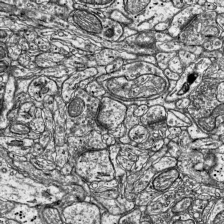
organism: Mouse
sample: Visual Cortex